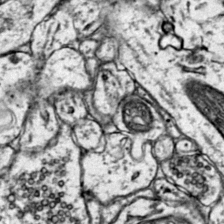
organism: Mouse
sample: Primary visual cortex